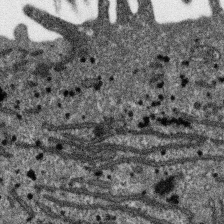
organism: Human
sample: Lung epithelial cells infected with SARS-CoV-2